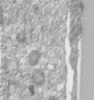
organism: Human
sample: Centriole in RPE cells